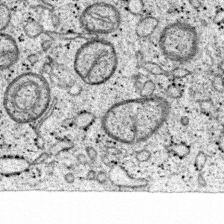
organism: Human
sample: HeLa cells